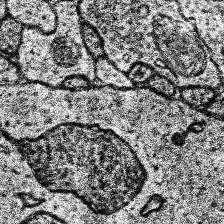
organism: Human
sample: Temporal Lobe